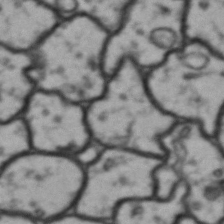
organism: Drosophila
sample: Brain